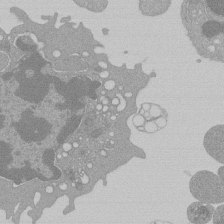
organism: Mouse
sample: Activated Pmel transgenic CD8+ T Cells